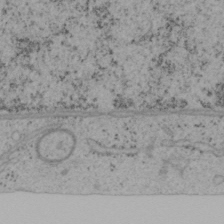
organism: Human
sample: HeLa cells